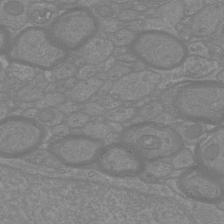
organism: Mouse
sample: Cortical neurons